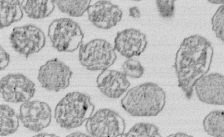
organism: E. coli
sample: Bacterial nucleoid